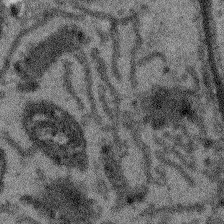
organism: Arabidopsis thaliana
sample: Root tip